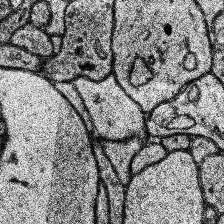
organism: Human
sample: Temporal Lobe